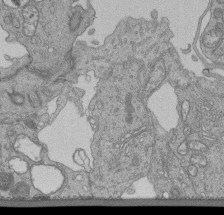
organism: Human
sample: Retinal organoid Rod and Cone cells